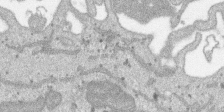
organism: Human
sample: Lung epithelial cells infected with SARS-CoV-2